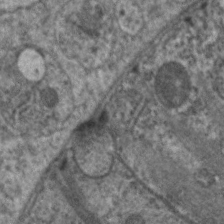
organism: C. elegans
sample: Pharynx